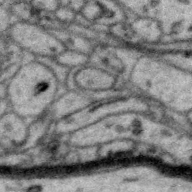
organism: Zebra finch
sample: Brain